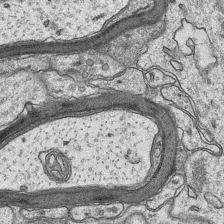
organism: Mouse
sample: CA1 Hippocampus